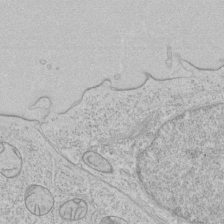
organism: Human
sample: Mitochondria in HCT116 cells